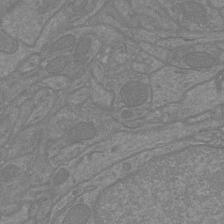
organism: Mouse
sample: Cortical neurons